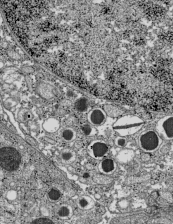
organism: C57BL Mouse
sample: Pancreatic islet